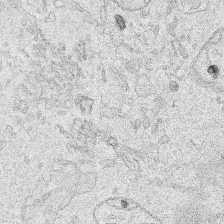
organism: Human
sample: Mitochondria in HCT116 cells